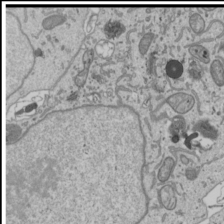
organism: Human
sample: Mitochondria in U2OS cells